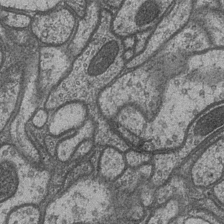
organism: Drosophila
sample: Optic medulla